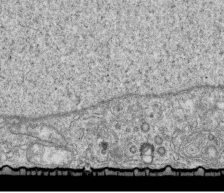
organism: Human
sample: HeLa cell HIV synapse